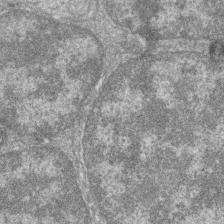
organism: Zebrafish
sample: Cilia; retinal pigment epithelium